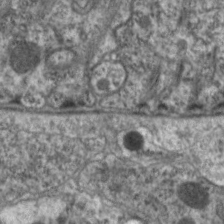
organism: C. elegans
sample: Pharynx